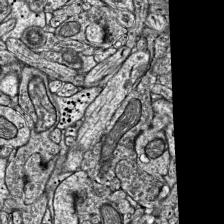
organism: Mouse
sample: Visual Cortex